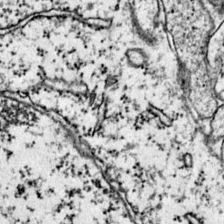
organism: Mouse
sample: Primary visual cortex